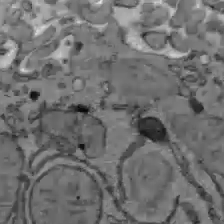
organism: C57BL Mouse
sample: Liver